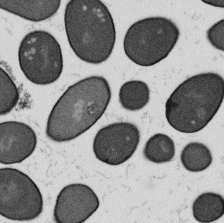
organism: B. subtilis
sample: Bacterial spore